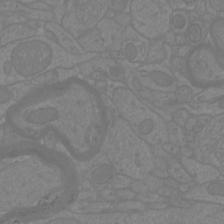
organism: Mouse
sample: Cortical neurons